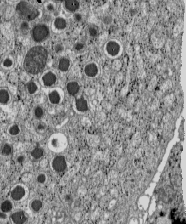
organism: C57BL Mouse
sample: Pancreatic islet